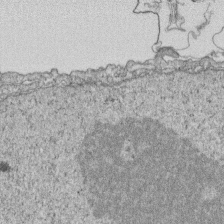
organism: Human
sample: HeLa cell HIV synapse